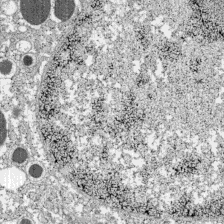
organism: C57BL Mouse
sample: Pancreatic islet